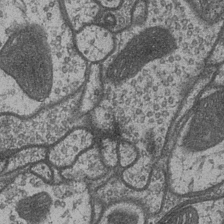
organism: Drosophila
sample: Optic medulla